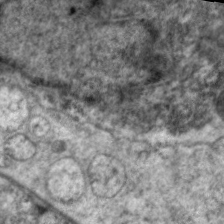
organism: C. elegans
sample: Pharynx